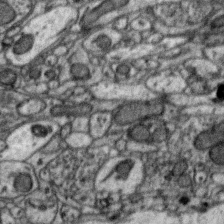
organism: Zebra finch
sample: Brain